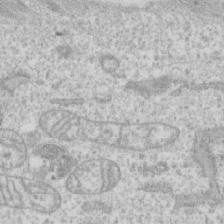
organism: Human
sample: CRL-1474